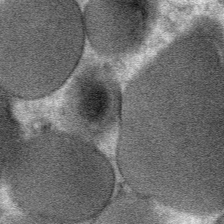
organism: Mouse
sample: Mouse Salivary gland